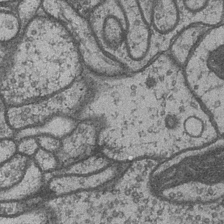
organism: Drosophila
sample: Optic medulla